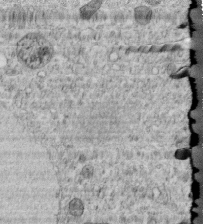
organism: C. elegans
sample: C. elegans embryo early stage